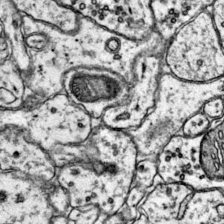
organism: Mouse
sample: Primary visual cortex